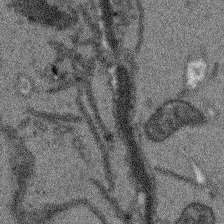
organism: Arabidopsis thaliana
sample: Root tip